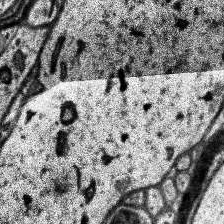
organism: Human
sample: Temporal Lobe